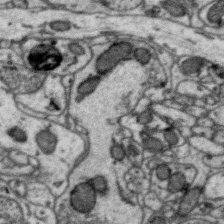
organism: Zebra finch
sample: Brain